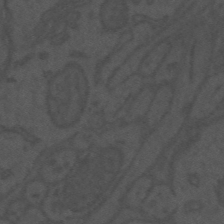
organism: Mouse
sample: Suprachiasmatic nucleus